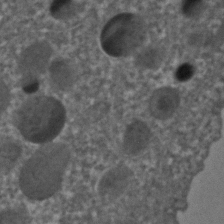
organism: C. elegans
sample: C. elegans embryo